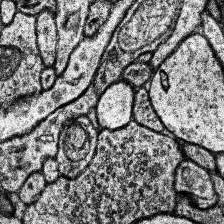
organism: Human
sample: Temporal Lobe